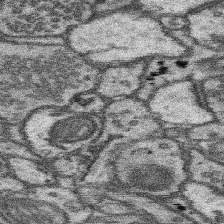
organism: Mouse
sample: Somatosensory cortex neuropil